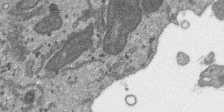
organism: Human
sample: Lung epithelial cells infected with SARS-CoV-2